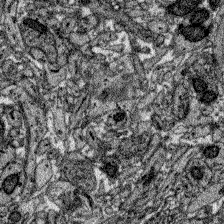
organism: Zebrafish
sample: Larval olfactory bulb